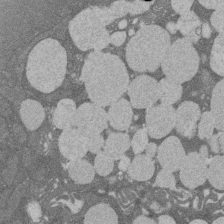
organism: Rat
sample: Salivary granule